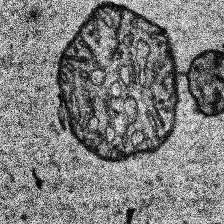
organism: Human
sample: Temporal Lobe